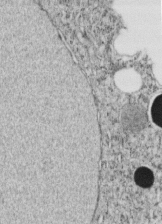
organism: C. elegans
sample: C. elegans embryo early stage